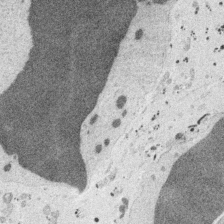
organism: Embia sp.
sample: Silk gland